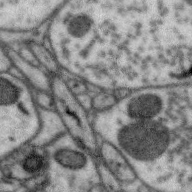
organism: Zebra finch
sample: Brain